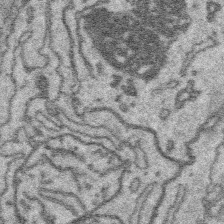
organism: Platynereis dumerilii